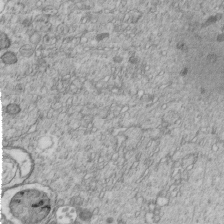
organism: C. elegans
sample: C. elegans embryo early stage